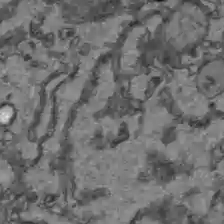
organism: C57BL Mouse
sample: Liver